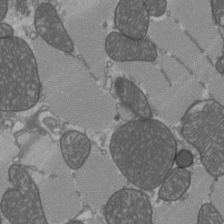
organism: C57BL Mouse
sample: Heart